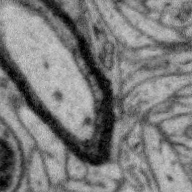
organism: Zebra finch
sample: Brain